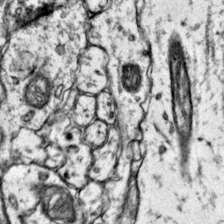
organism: Mouse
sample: Primary visual cortex